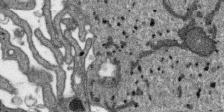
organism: Human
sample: Lung epithelial cells, uninfected (mock) control